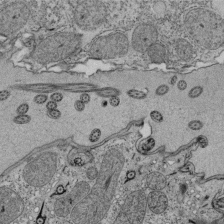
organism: Tetrahymena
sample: Cilia in tetrahymena